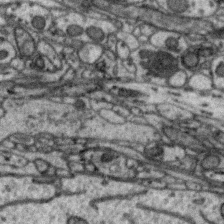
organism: Zebra finch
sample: Brain